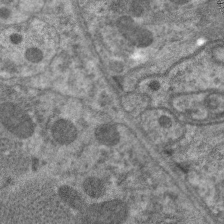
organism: C. elegans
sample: Pharynx